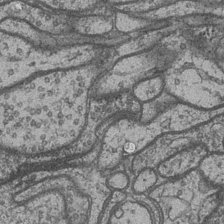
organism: Drosophila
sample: Optic medulla